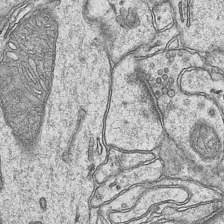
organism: Mouse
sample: CA1 Hippocampus